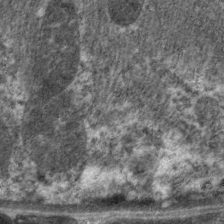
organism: C. elegans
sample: Pharynx